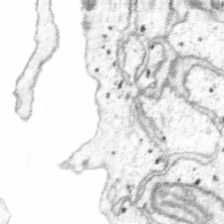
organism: Human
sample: HeLa cells